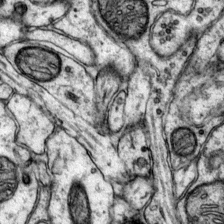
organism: Mouse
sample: Primary visual cortex